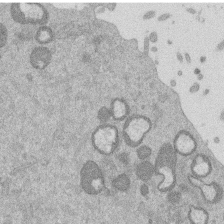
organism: Mouse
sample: Dividing mouse embryo 1 cell stage